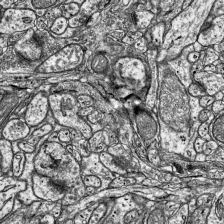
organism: Mouse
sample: Visual Cortex